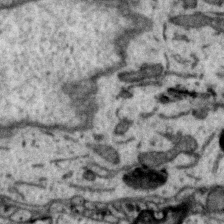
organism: Zebra finch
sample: Brain